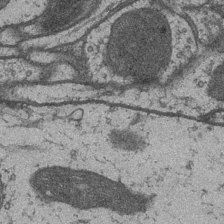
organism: Drosophila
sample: Optic medulla